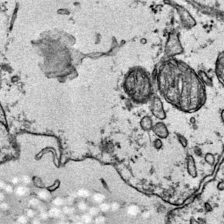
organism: Mouse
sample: Primary visual cortex